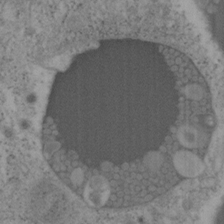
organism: Mouse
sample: OT-I killer T cells with ID8 ovarian cancer cells